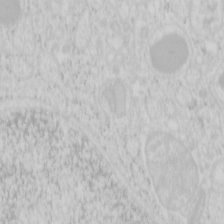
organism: Mouse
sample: Pancreas